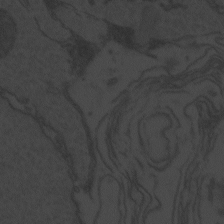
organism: Zebrafish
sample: Macrophage infected with Toxoplasma gondii